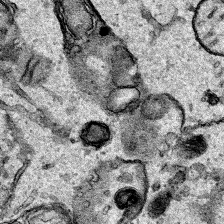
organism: Human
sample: Mitochondria in HCT116 cells